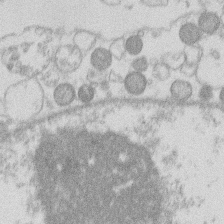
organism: Human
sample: Macrophage cells